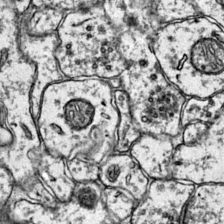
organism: Mouse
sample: Primary visual cortex